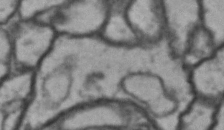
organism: Drosophila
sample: Brain